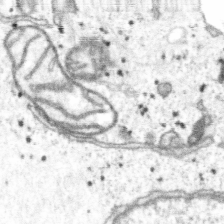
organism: Human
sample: HeLa cells